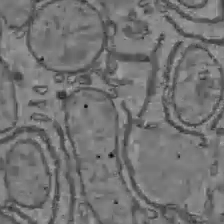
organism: C57BL Mouse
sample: Liver